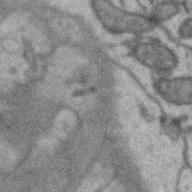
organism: Zebra finch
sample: Brain